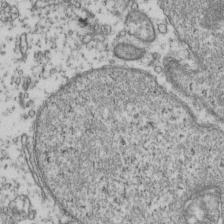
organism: Human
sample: Activated Jurkat CD4+ T cells